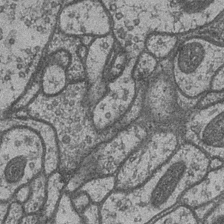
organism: Drosophila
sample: Optic medulla